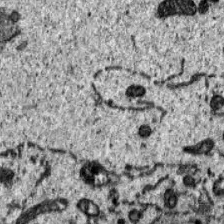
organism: Human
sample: HeLa cells